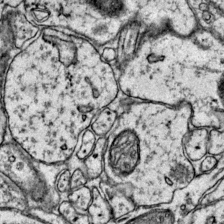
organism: Mouse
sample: Primary visual cortex